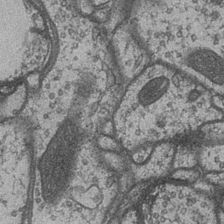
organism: Drosophila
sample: Optic medulla